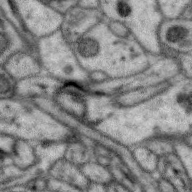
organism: Zebra finch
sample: Brain